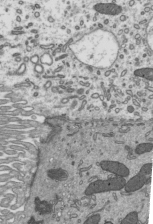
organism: Mouse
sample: Mouse epididymis efferent ductule cilia